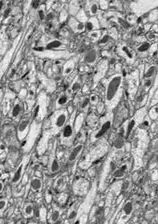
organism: Drosophila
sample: Optic lobe